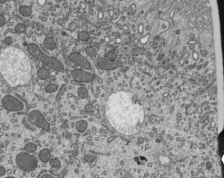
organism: Mouse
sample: Mouse epididymis efferent ductule cilia